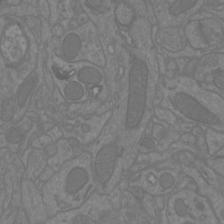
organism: Mouse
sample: Cortical neurons